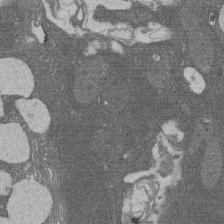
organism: Rat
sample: Salivary granule